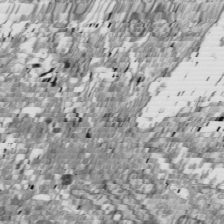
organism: Drosophila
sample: Cell division; meiosis; drosophila spermatocytes